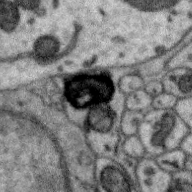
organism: Zebra finch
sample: Brain